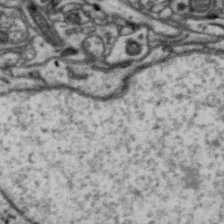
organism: Zebra finch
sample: Brain